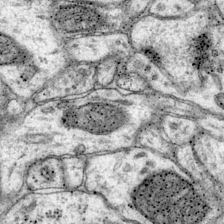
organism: Mouse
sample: Primary visual cortex